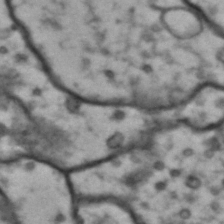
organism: Drosophila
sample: Brain